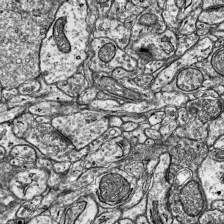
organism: Mouse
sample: Visual Cortex